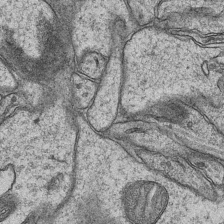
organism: Mouse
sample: CA1 Hippocampus